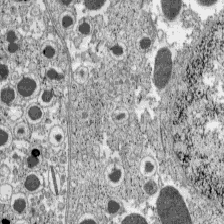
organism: C57BL Mouse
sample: Pancreatic islet